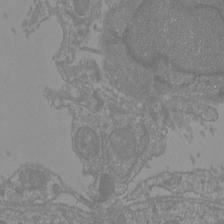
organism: Mouse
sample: Cortical neurons